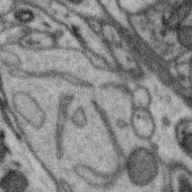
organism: Zebra finch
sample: Brain